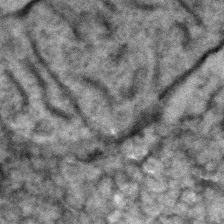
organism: Zebrafish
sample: Zebrafish embryo